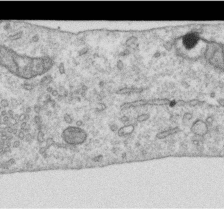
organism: Human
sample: Centriole in RPE cells